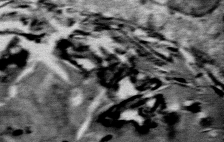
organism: Mouse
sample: Mouse Salivary gland